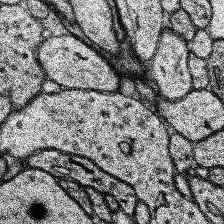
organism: Human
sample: Temporal Lobe